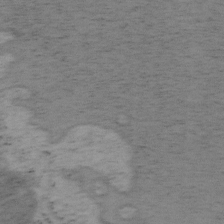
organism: Mouse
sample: OT-I killer T cells with ID8 ovarian cancer cells